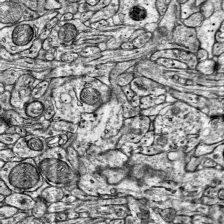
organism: Mouse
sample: Visual Cortex